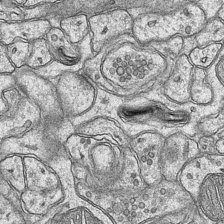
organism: Mouse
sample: CA1 Hippocampus